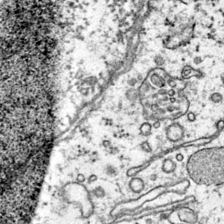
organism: Mouse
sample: Primary visual cortex